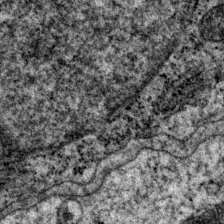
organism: P. pacificus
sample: Pharynx